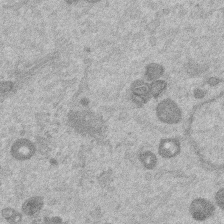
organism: Mouse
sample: Dividing mouse embryo 1 cell stage